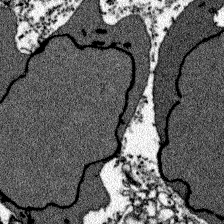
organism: Zebrafish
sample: Larval olfactory bulb